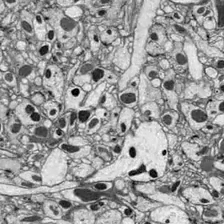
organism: Drosophila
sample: Optic lobe